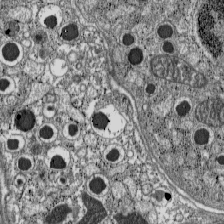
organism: C57BL Mouse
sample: Pancreatic islet